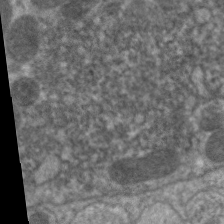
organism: C. elegans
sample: Pharynx